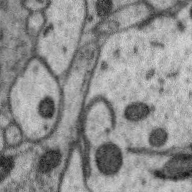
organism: Zebra finch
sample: Brain